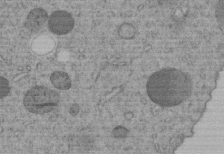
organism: C. elegans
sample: C. elegans embryo early stage